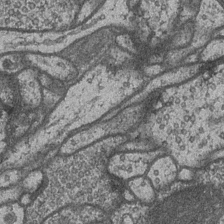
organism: Drosophila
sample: Optic medulla